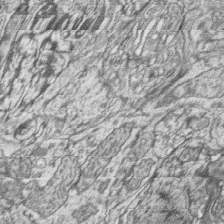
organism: Zebrafish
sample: synaptic ribbons in rod cells and cone cells